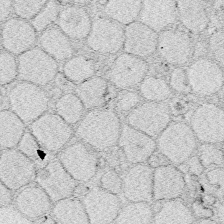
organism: Zebrafish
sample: Whole-Brain